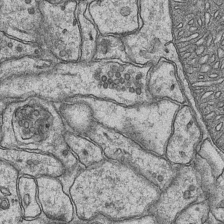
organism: Mouse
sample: CA1 Hippocampus